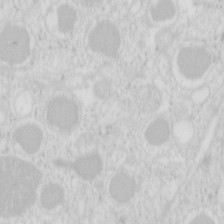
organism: Mouse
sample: Pancreas